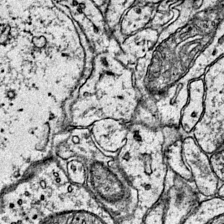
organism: Mouse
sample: Primary visual cortex